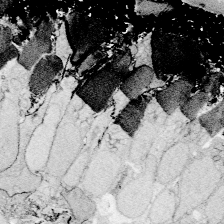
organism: Zebrafish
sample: Whole-Brain